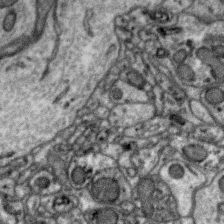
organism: Zebra finch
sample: Brain